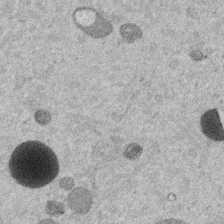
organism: Mouse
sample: Dividing mouse embryo 1 cell stage